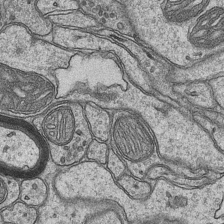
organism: Mouse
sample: CA1 Hippocampus